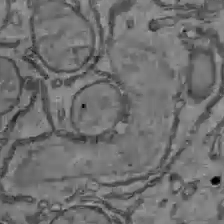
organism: C57BL Mouse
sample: Liver